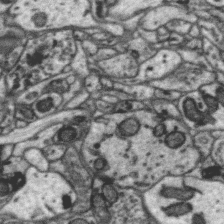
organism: Zebra finch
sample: Brain